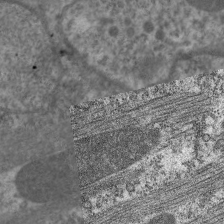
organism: C. elegans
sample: Pharynx